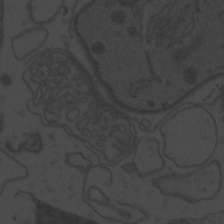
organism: Zebrafish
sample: Macrophage infected with Toxoplasma gondii